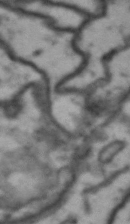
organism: Drosophila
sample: Brain